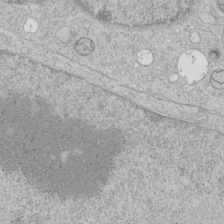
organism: Human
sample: Mitochondria in HCT116 cells